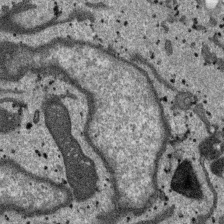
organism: Human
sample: Lung epithelial cells, uninfected (mock) control